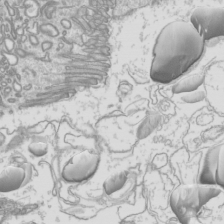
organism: Mouse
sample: Cilia; mouse epididymis